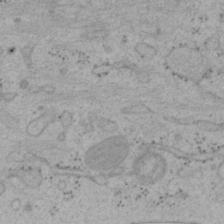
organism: Human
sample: HeLa cells